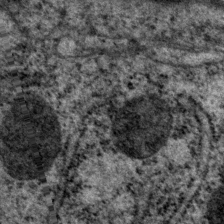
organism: P. pacificus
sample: Pharynx